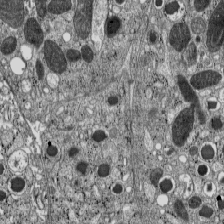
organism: C57BL Mouse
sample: Pancreatic islet